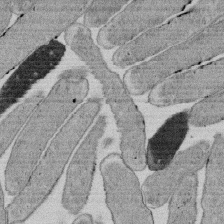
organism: E. coli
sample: Bacterial nucleoid